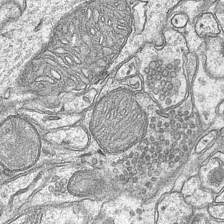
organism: Mouse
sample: CA1 Hippocampus